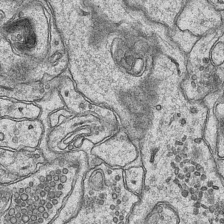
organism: Mouse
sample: CA1 Hippocampus